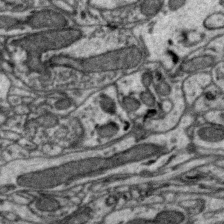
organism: Zebra finch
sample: Brain